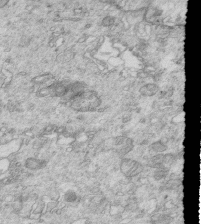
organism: Mouse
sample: Multiciliated cells